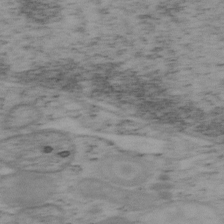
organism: Mouse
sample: OT-I killer T cells with ID8 ovarian cancer cells